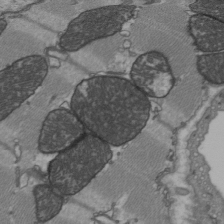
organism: C57BL Mouse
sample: Heart